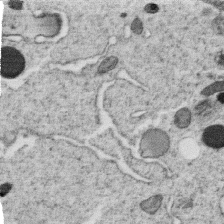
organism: C. elegans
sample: C. elegans oocyte; sperm cells